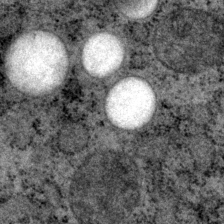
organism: P. pacificus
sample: Pharynx